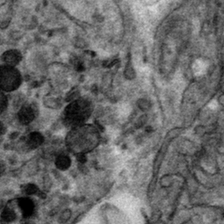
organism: Mouse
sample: Mouse hepatocytes